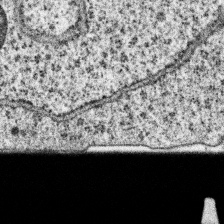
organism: Human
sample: HeLa cells